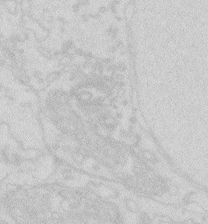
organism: Zebrafish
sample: Macrophage